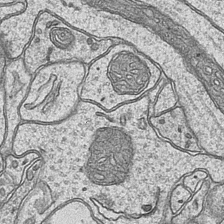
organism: Mouse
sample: CA1 Hippocampus